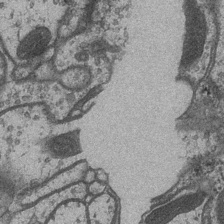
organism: Drosophila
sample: Optic medulla